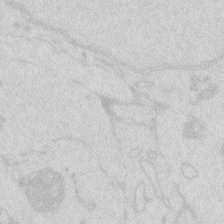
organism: Zebrafish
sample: Macrophage